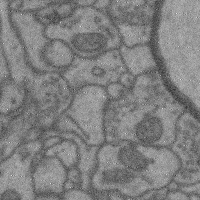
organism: Mouse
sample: Cerebral cortex